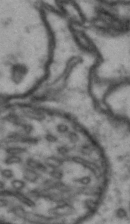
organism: Drosophila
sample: Brain